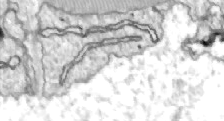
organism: Zebrafish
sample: Actinotrichia fibers